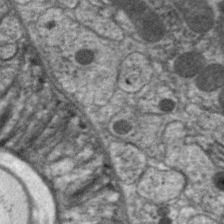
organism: C. elegans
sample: Pharynx